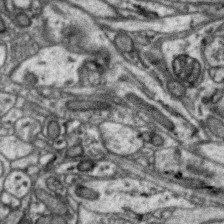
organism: Zebra finch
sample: Brain